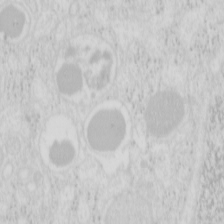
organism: Mouse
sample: Pancreas